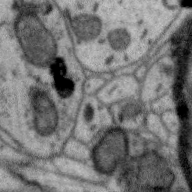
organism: Zebra finch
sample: Brain